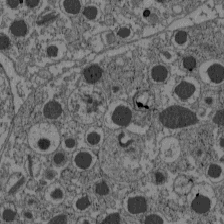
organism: C57BL Mouse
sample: Pancreatic islet